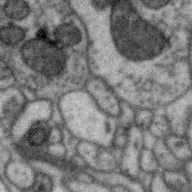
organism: Zebra finch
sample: Brain